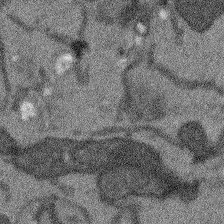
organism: Arabidopsis thaliana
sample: Root tip